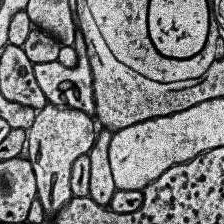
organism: Human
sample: Temporal Lobe